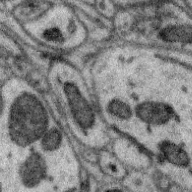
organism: Zebra finch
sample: Brain